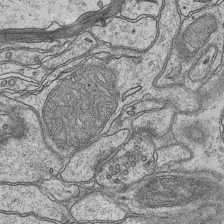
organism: Mouse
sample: CA1 Hippocampus